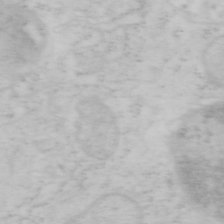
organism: Mouse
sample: OT-I killer T cells with ID8 ovarian cancer cells